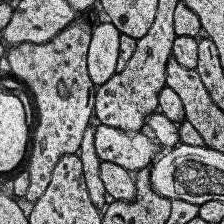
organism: Human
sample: Temporal Lobe